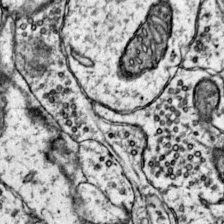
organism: Mouse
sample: Primary visual cortex